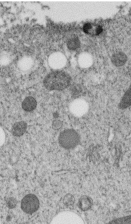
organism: C. elegans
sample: C. elegans embryo early stage